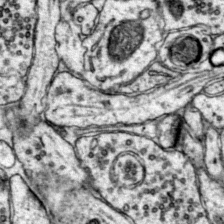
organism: Mouse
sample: Primary visual cortex